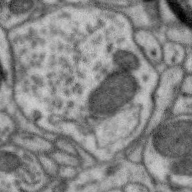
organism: Zebra finch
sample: Brain